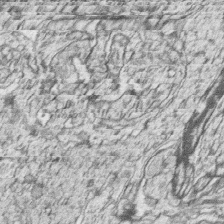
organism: Zebrafish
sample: synaptic ribbons in rod cells and cone cells